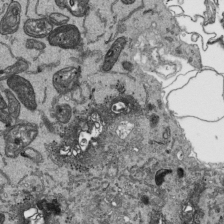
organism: Human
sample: Mitochondria in HCT116 cells